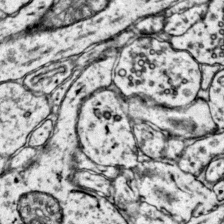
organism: Mouse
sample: Primary visual cortex